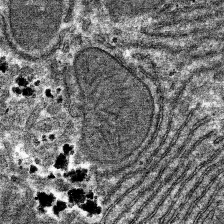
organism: Mouse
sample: Mouse hepatocytes